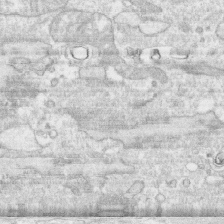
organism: Human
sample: CRL-1474